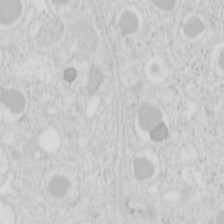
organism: Mouse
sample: Pancreas